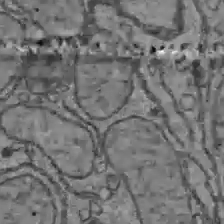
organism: C57BL Mouse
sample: Liver